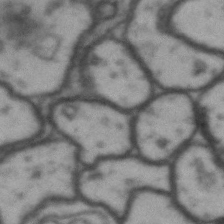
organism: Drosophila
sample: Brain